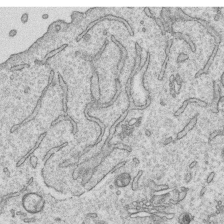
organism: Human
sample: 1205lu cells